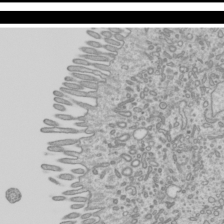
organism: Mouse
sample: Cilia; mouse epididymis